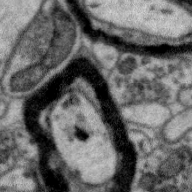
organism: Zebra finch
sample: Brain